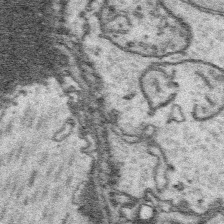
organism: Platynereis dumerilii